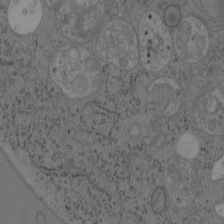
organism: Mouse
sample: OT-I killer T cells with ID8 ovarian cancer cells